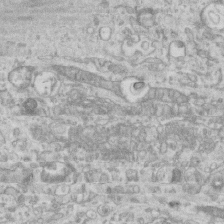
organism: Mouse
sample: Centriole in ependymal cells